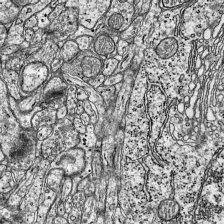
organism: Mouse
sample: Visual Cortex